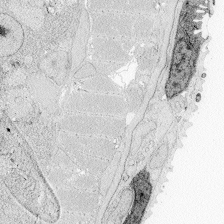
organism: Zebrafish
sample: Whole-Brain